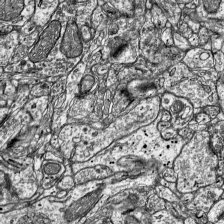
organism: Mouse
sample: Visual Cortex